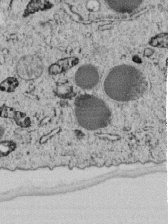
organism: C. elegans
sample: C. elegans embryo early stage